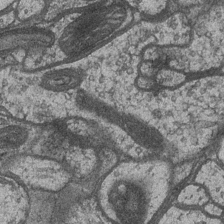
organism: Drosophila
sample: Optic medulla